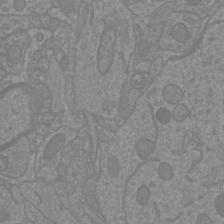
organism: Mouse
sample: Cortical neurons